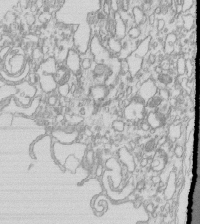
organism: Mouse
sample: Macrophages